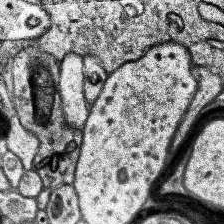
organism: Human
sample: Temporal Lobe